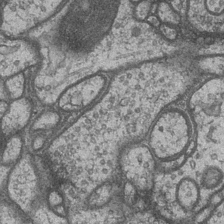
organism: Drosophila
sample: Optic medulla